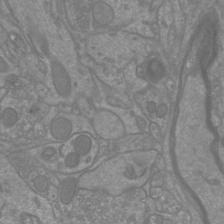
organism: Mouse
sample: Cortical neurons